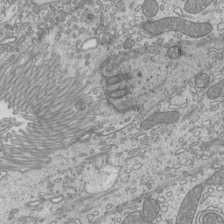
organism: Mouse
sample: Cilia; mouse epididymis